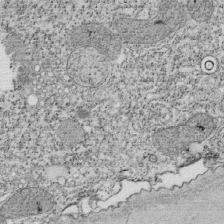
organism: Tetrahymena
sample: Cilia in tetrahymena